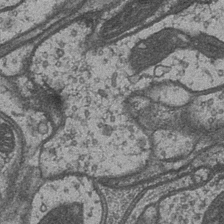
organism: Drosophila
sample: Optic medulla